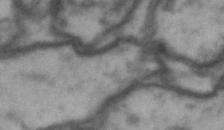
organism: Drosophila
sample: Brain